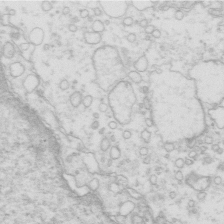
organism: Mouse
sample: Multiciliated cells